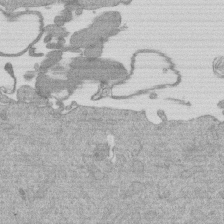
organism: Mouse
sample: Dividing mouse embryo 1 cell stage